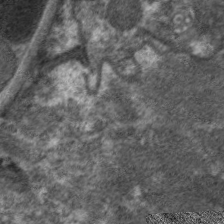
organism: C. elegans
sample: Pharynx